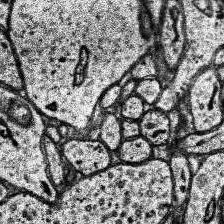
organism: Human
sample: Temporal Lobe